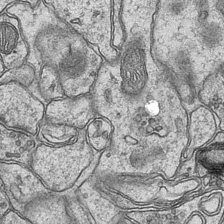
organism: Mouse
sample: CA1 Hippocampus